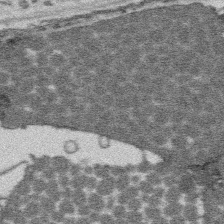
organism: Platynereis dumerilii